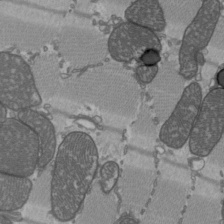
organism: C57BL Mouse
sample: Heart